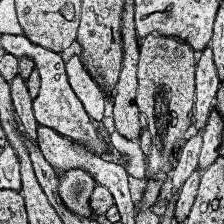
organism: Human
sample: Temporal Lobe